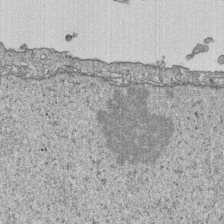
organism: Human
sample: HeLa cell HIV synapse